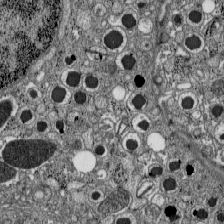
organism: C57BL Mouse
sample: Pancreatic islet